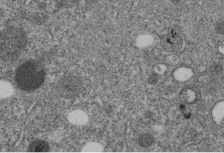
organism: C. elegans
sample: C. elegans embryo early stage